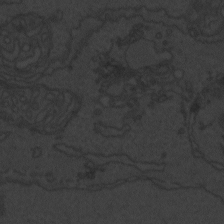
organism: Zebrafish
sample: Macrophage infected with Toxoplasma gondii